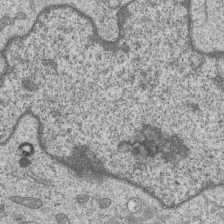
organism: Human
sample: MDA-MB-231 cells